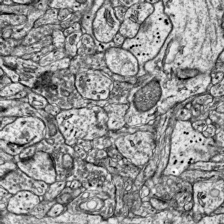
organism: Mouse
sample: Visual Cortex